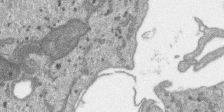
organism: Human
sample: Lung epithelial cells infected with SARS-CoV-2